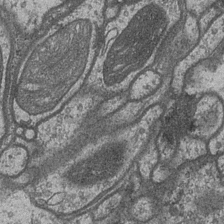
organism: Drosophila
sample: Optic medulla